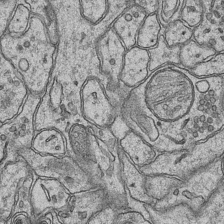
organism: Mouse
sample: CA1 Hippocampus